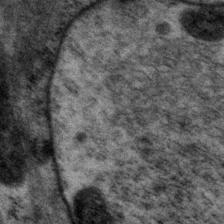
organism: P. pacificus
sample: Pharynx